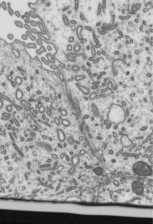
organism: Mouse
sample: Mouse epididymis efferent ductule cilia